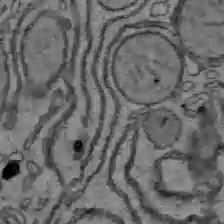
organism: C57BL Mouse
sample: Liver